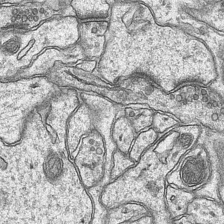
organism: Mouse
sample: CA1 Hippocampus